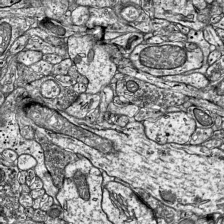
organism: Mouse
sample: Visual Cortex